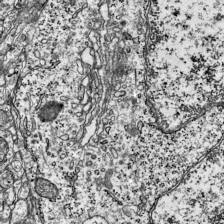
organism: Mouse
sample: Visual Cortex